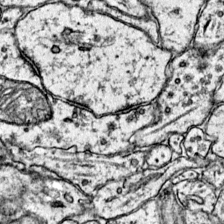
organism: Mouse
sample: Primary visual cortex